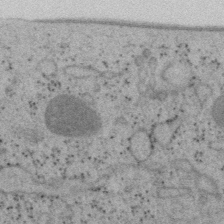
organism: Human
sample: HeLa cells